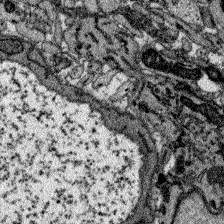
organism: Zebrafish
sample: Larval olfactory bulb